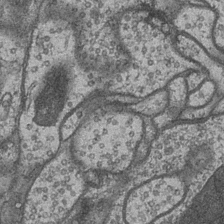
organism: Drosophila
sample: Optic medulla